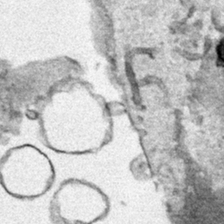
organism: Human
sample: Mitochondria in HCT116 cells